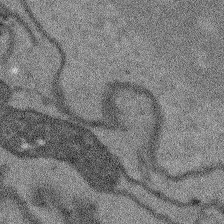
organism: Arabidopsis thaliana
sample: Root tip